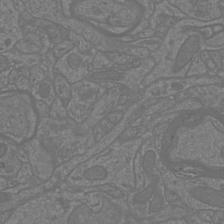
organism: Mouse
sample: Cortical neurons